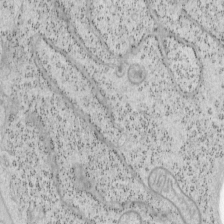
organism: Mouse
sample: OT-I killer T cells with ID8 ovarian cancer cells